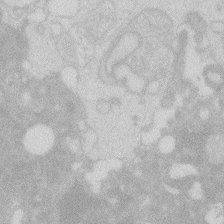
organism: Zebrafish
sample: Macrophage